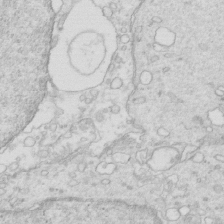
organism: Mouse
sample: Multiciliated cells